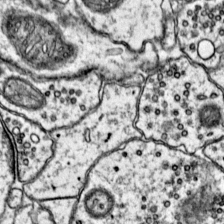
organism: Mouse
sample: Primary visual cortex